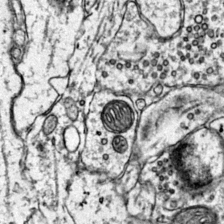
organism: Mouse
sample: Primary visual cortex